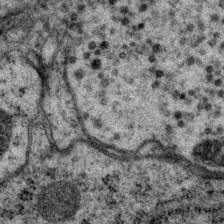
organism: P. pacificus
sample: Pharynx